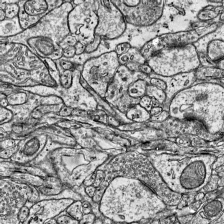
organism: Mouse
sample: Visual Cortex